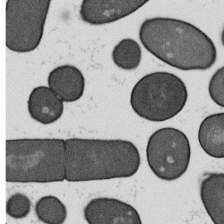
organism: B. subtilis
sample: Bacterial spore